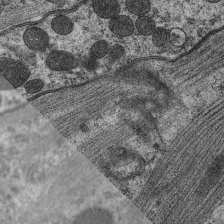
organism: C. elegans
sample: Pharynx